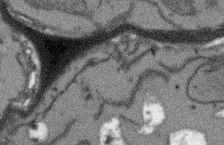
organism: Arabidopsis thaliana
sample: Root tip